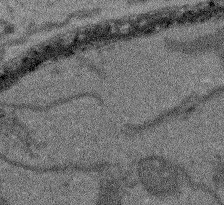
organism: Arabidopsis thaliana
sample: Root tip